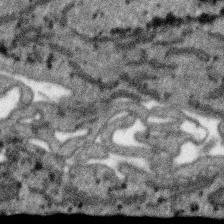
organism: Human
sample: Lung epithelial cells infected with SARS-CoV-2